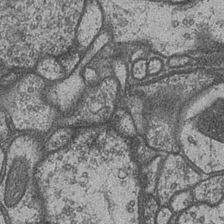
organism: Drosophila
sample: Optic medulla